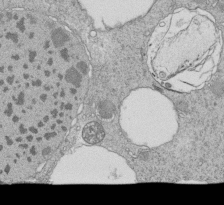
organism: Tetrahymena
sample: Cilia in tetrahymena